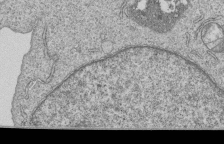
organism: Human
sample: MDA-MB-231 cells